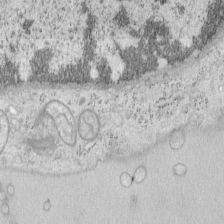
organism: Mouse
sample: OT-I killer T cells with ID8 ovarian cancer cells